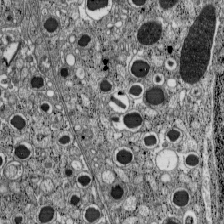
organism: C57BL Mouse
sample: Pancreatic islet